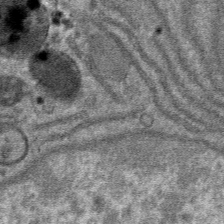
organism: Mouse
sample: Mouse hepatocytes